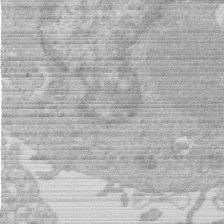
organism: Human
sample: Macrophage cells